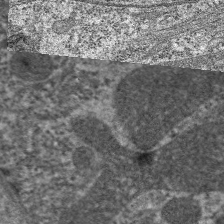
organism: C. elegans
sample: Pharynx